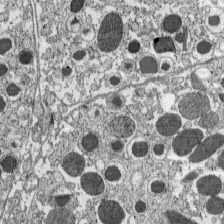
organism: C57BL Mouse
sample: Pancreatic islet